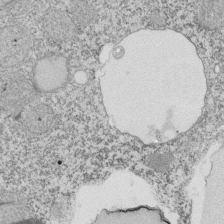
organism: Tetrahymena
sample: Cilia in tetrahymena